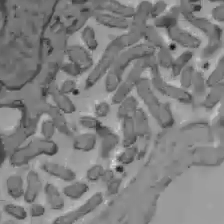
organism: C57BL Mouse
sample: Liver